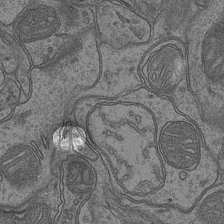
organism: Mouse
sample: CA1 Hippocampus